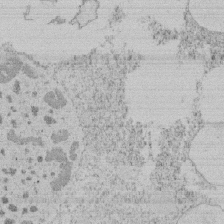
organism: Tetrahymena